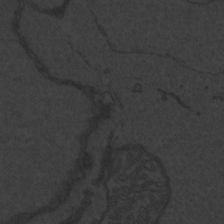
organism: Zebrafish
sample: Macrophage infected with Toxoplasma gondii